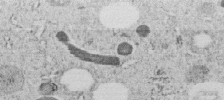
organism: C. elegans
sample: C. elegans embryo early stage